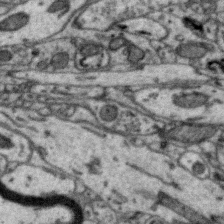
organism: Zebra finch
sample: Brain